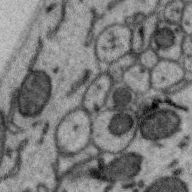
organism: Zebra finch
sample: Brain